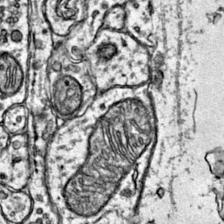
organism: Mouse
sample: Primary visual cortex